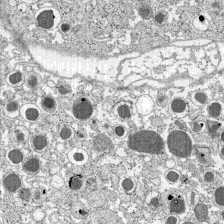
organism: C57BL Mouse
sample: Pancreatic islet